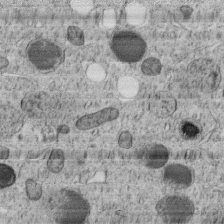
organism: C. elegans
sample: C. elegans embryo early stage